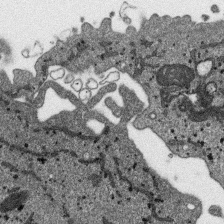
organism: Human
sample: Lung epithelial cells infected with SARS-CoV-2